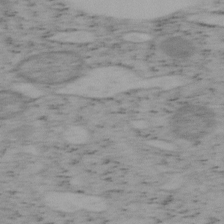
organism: Mouse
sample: OT-I killer T cells with ID8 ovarian cancer cells